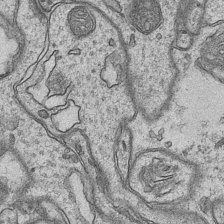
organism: Mouse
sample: CA1 Hippocampus